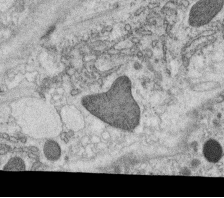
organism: C. elegans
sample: C. elegans oocyte; sperm cells